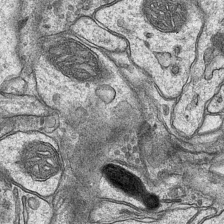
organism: Mouse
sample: CA1 Hippocampus